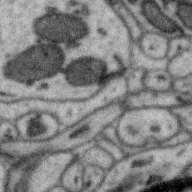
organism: Zebra finch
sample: Brain